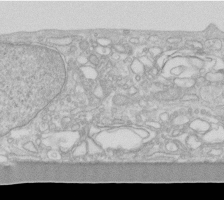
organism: Human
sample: Fibroblast cells